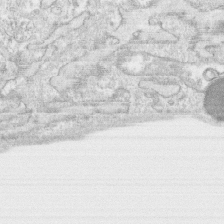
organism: Human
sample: CRL-1474